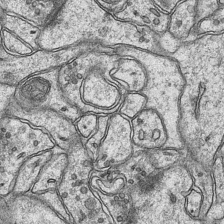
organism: Mouse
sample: CA1 Hippocampus